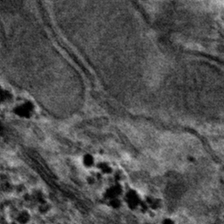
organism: Mouse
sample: Mouse hepatocytes